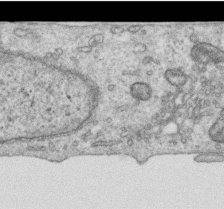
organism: Human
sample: Centriole in RPE cells